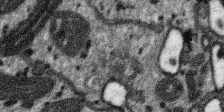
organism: Human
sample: Lung epithelial cells infected with SARS-CoV-2